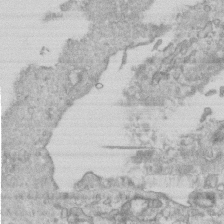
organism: Mouse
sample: Centriole in ependymal cells